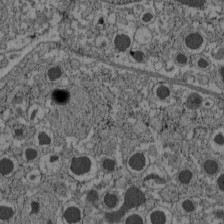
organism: C57BL Mouse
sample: Pancreatic islet